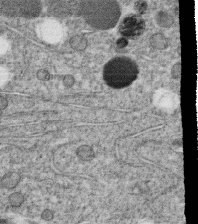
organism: C. elegans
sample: C. elegans oocyte; sperm cells